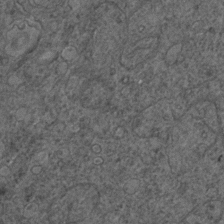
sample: Trachea